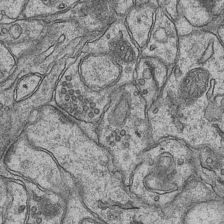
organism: Mouse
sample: CA1 Hippocampus